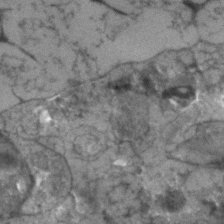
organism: Human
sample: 1205lu cells